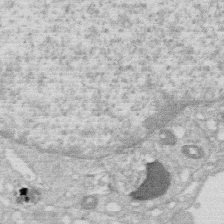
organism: Human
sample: Macrophage cells